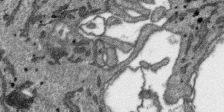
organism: Human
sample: Lung epithelial cells, uninfected (mock) control